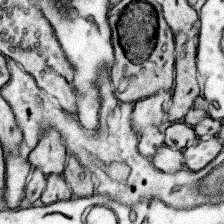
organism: Mouse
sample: Somatosensory cortex neuropil